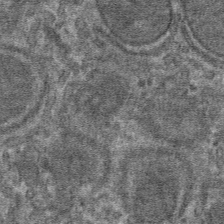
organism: Mouse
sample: Mouse hepatocytes